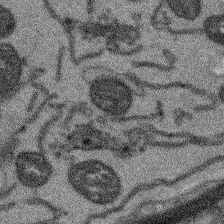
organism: Arabidopsis thaliana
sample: Root tip